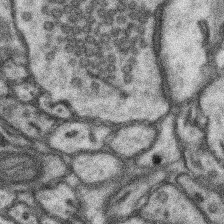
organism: Mouse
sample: Somatosensory cortex neuropil